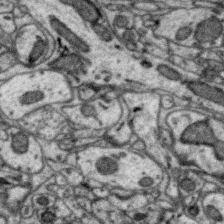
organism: Zebra finch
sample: Brain